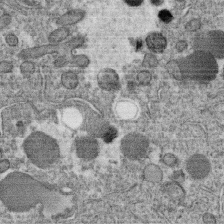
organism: C. elegans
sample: C. elegans oocyte; sperm cells